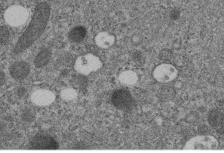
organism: C. elegans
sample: C. elegans embryo early stage